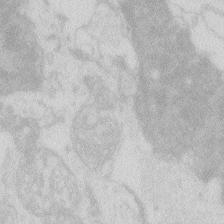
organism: Zebrafish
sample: Macrophage